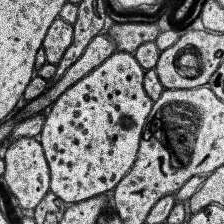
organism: Human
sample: Temporal Lobe